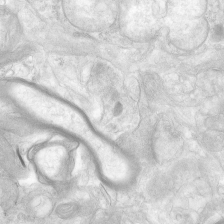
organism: Human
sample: Neocortex